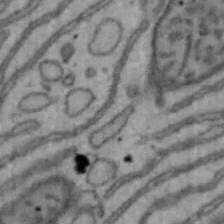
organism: Mouse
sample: Liver